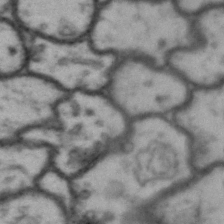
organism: Drosophila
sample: Brain